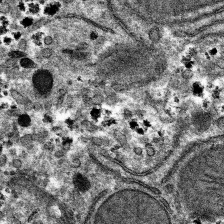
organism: Mouse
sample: Mouse hepatocytes